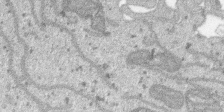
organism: Human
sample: Lung epithelial cells infected with SARS-CoV-2